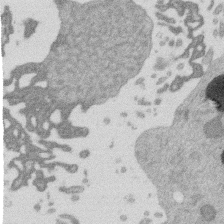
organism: Mouse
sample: Dividing mouse embryo 1 cell stage